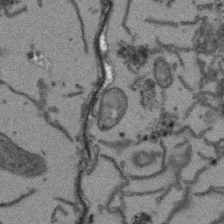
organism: Arabidopsis thaliana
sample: Root tip